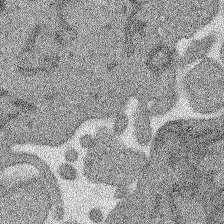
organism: Human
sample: HeLa cells